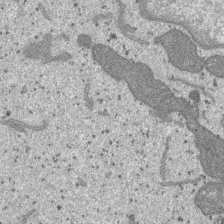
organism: Human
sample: Lung epithelial cells infected with SARS-CoV-2